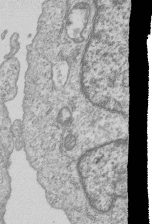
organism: Human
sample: MDA-MB-231 cells